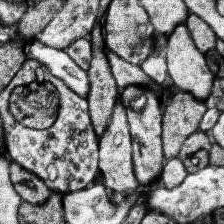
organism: Human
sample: Temporal Lobe